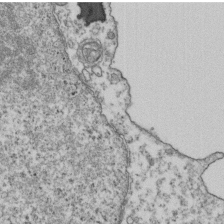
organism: Human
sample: Activated Jurkat CD4+ T cells